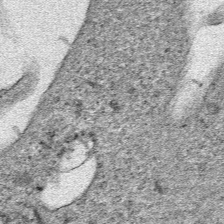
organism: Human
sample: Mitochondria in HCT116 cells